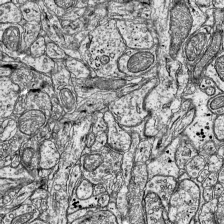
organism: Mouse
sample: Visual Cortex